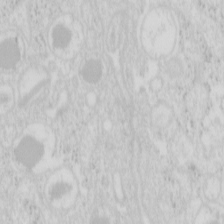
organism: Mouse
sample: Pancreas